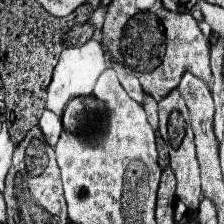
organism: Human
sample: Temporal Lobe